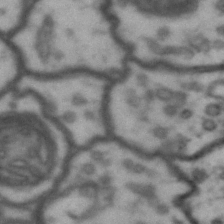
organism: Drosophila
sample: Brain